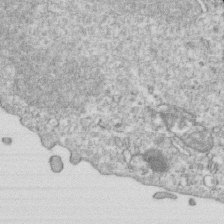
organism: Mouse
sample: Activated OT-1 CD8+ T cells